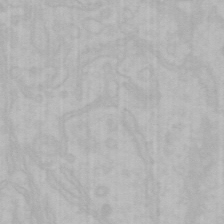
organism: Mouse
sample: Choroid plexus